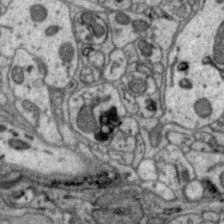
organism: Zebra finch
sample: Brain